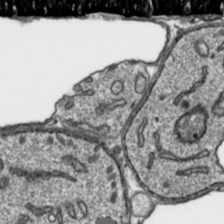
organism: Toxoplasma gondii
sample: Parasites in a vacuole inside a host cell